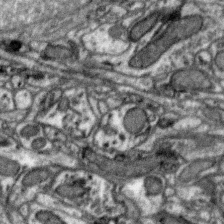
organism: Zebra finch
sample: Brain